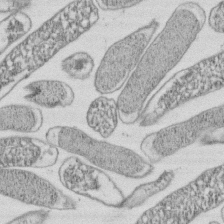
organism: E. coli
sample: Bacterial nucleoid